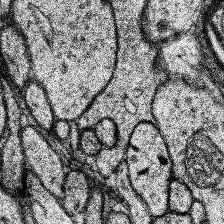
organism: Human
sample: Temporal Lobe